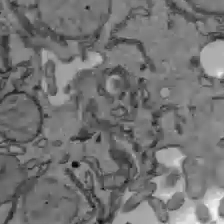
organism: C57BL Mouse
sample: Liver